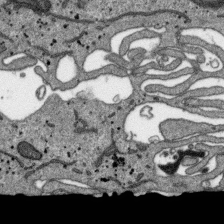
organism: Human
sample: Lung epithelial cells, uninfected (mock) control